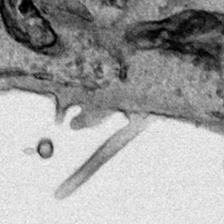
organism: Human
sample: Mitochondria in HCT116 cells